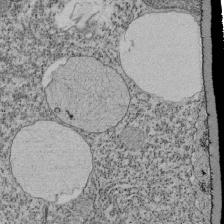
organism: Tetrahymena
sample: Cilia in tetrahymena